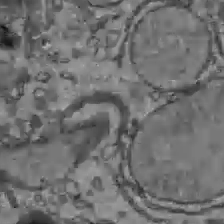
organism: C57BL Mouse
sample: Liver